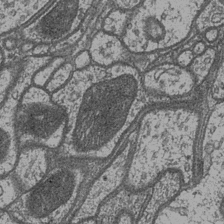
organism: Drosophila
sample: Optic medulla